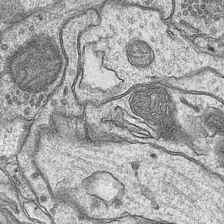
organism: Mouse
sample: CA1 Hippocampus